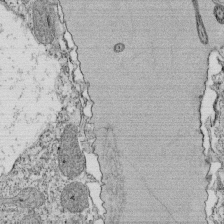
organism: Tetrahymena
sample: Cilia in tetrahymena